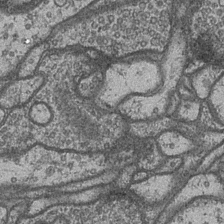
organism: Drosophila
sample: Optic medulla